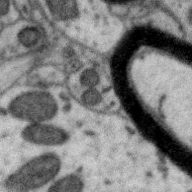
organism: Zebra finch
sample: Brain